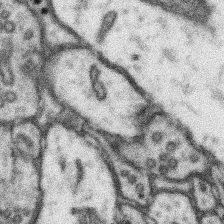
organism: Mouse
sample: Somatosensory cortex neuropil